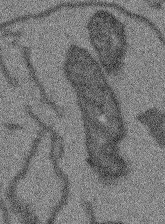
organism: Arabidopsis thaliana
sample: Root tip